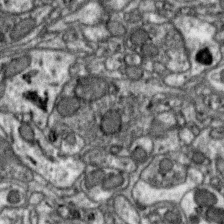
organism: Zebra finch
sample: Brain